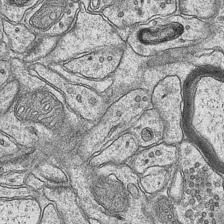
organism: Mouse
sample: CA1 Hippocampus